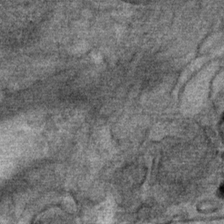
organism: Mouse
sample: Mouse Salivary gland